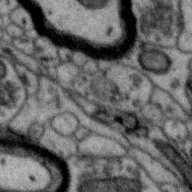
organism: Zebra finch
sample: Brain